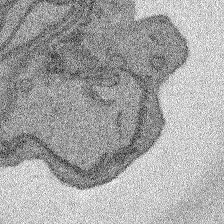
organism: Human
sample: HeLa cells